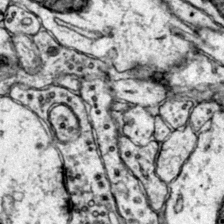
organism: Mouse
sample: Primary visual cortex